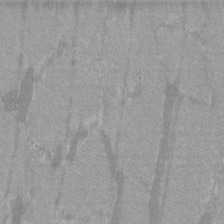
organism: C57BL Mouse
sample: Tibialis anterior muscle cell